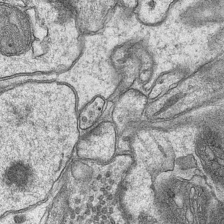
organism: Mouse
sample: CA1 Hippocampus